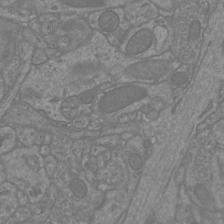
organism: Mouse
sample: Cortical neurons